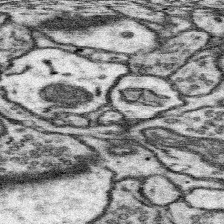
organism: Mouse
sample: Somatosensory cortex neuropil